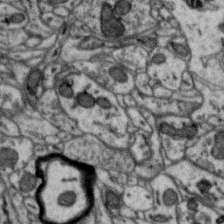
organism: Zebra finch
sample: Brain